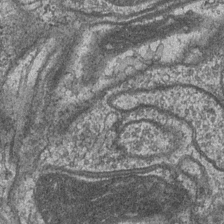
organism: Drosophila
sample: Optic medulla